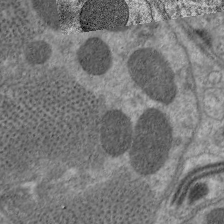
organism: C. elegans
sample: Pharynx